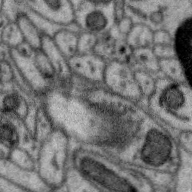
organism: Zebra finch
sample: Brain